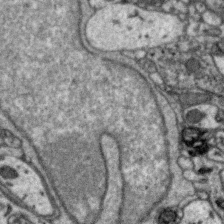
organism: Zebra finch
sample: Brain